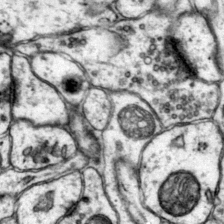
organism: Mouse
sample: Primary visual cortex